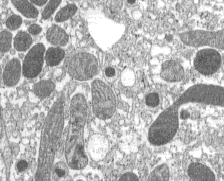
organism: C57BL Mouse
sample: Pancreatic islet